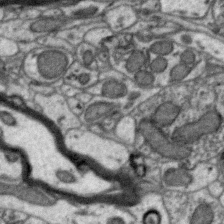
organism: Zebra finch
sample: Brain